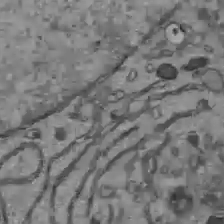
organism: C57BL Mouse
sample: Liver